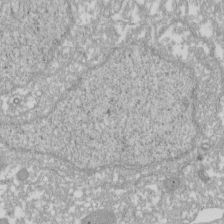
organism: Xenopus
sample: Cilia; centrioles in frog embryo cells